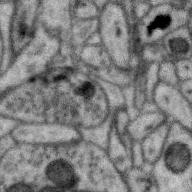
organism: Zebra finch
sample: Brain